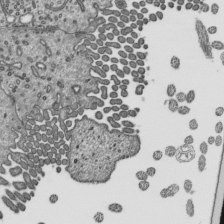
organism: Mouse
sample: Mouse epididymis efferent ductule cilia